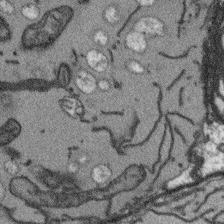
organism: Arabidopsis thaliana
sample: Root tip